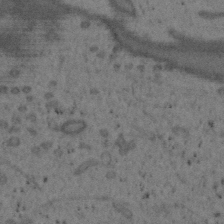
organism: Human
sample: HeLa cells